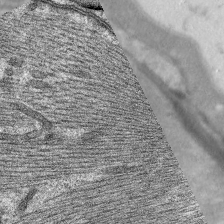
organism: C. elegans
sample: Pharynx